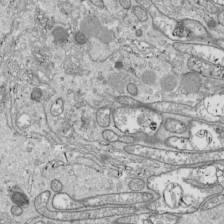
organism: Drosophila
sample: Cell division; meiosis; drosophila spermatocytes